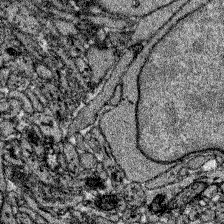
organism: Zebrafish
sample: Larval olfactory bulb